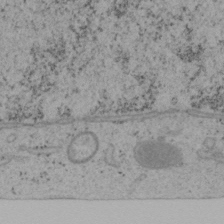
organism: Human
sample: HeLa cells